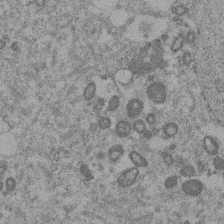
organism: Mouse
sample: Dividing mouse embryo 1 cell stage